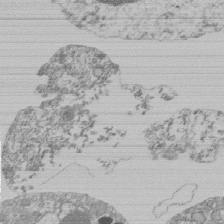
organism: Mouse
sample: Activated Pmel transgenic CD8+ T Cells